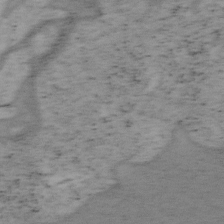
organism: Mouse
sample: OT-I killer T cells with ID8 ovarian cancer cells